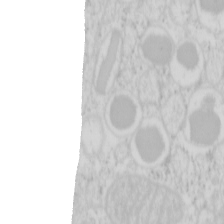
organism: Mouse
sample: Pancreas